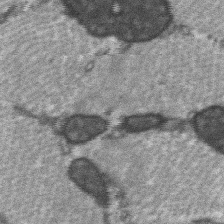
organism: C57BL Mouse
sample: Soleus